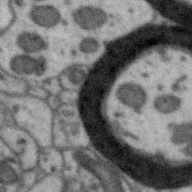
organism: Zebra finch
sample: Brain